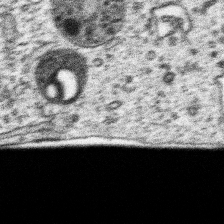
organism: Human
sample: HeLa cells